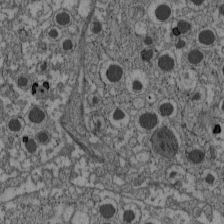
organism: C57BL Mouse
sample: Pancreatic islet